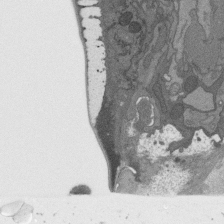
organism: C. elegans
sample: AFD neurons C. elegans